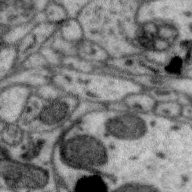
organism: Zebra finch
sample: Brain